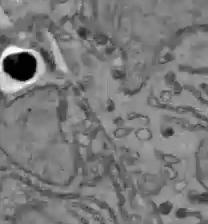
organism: C57BL Mouse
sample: Liver